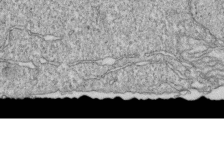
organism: Human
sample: HeLa cell HIV synapse